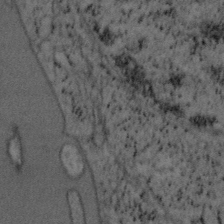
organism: Human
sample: HeLa cells